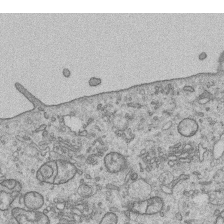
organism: Human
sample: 1205lu cells